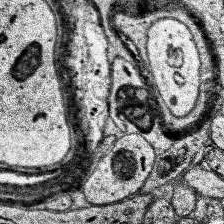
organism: Human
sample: Temporal Lobe